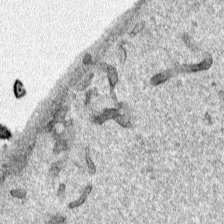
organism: Human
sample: Mitochondria in HCT116 cells